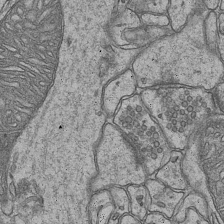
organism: Mouse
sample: CA1 Hippocampus